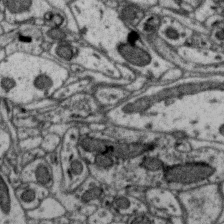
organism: Zebra finch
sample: Brain